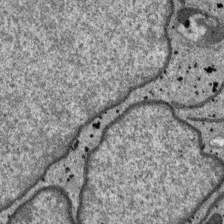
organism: Human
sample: Lung epithelial cells, uninfected (mock) control